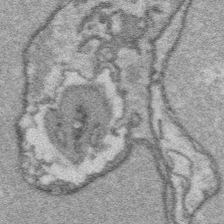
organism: Platynereis dumerilii